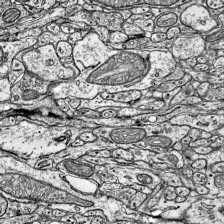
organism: Mouse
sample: Visual Cortex